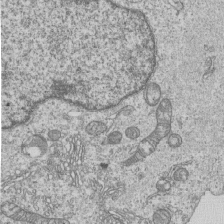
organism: Human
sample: MDA-MB-231 cells